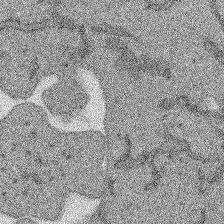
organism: Human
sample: HeLa cells